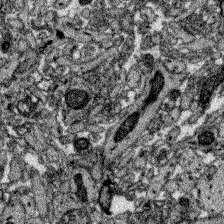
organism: Zebrafish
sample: Larval olfactory bulb